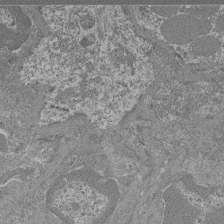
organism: Mouse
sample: Glomerulus